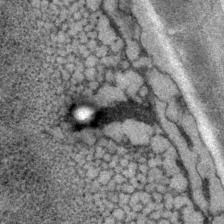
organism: P. pacificus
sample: Pharynx